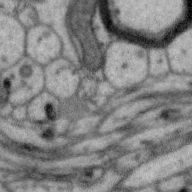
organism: Zebra finch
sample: Brain